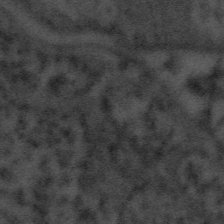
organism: Tuwongella immobilis